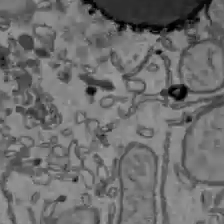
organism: C57BL Mouse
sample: Liver